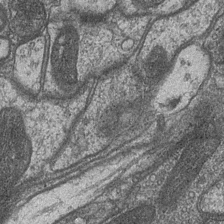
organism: Drosophila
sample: Optic medulla